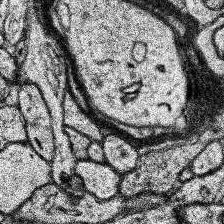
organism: Human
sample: Temporal Lobe